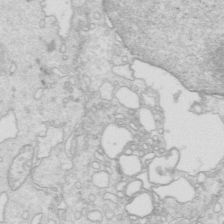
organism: Mouse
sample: Multiciliated cells